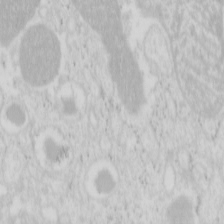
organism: Mouse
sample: Pancreas